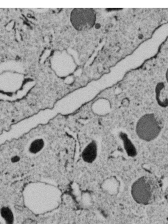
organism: C. elegans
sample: C. elegans embryo early stage